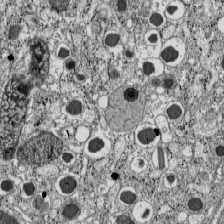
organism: C57BL Mouse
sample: Pancreatic islet